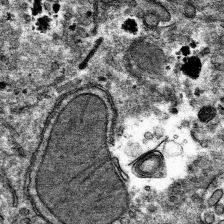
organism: Mouse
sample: Mouse hepatocytes